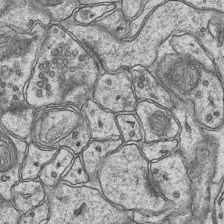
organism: Mouse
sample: CA1 Hippocampus